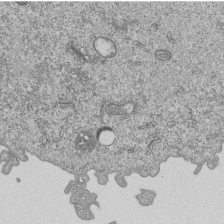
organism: Human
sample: MDA-MB-231 cells